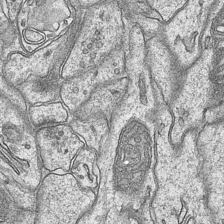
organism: Mouse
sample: CA1 Hippocampus